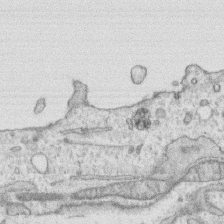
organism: Human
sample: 1205lu cells